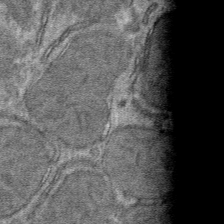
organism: Mouse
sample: Mouse hepatocytes